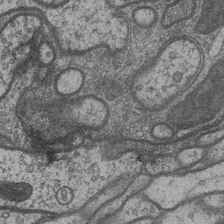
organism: Drosophila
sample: Optic medulla